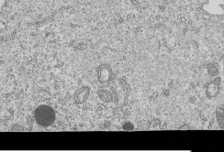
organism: Human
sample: MDA-MB-231 cells